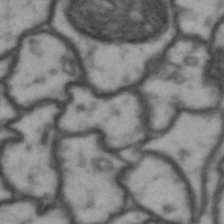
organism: Drosophila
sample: Brain